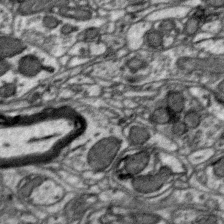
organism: Zebra finch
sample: Brain